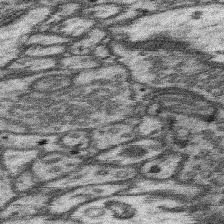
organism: Mouse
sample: Somatosensory cortex neuropil